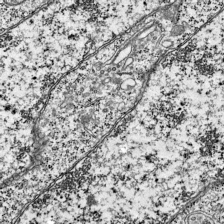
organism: Mouse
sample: Visual Cortex